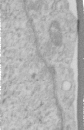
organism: Human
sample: Centriole in RPE cells